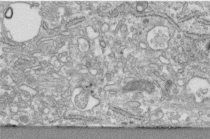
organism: Human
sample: Centriole in fibroblast cells